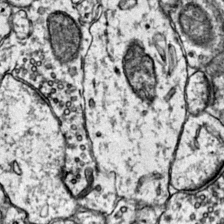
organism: Mouse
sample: Primary visual cortex